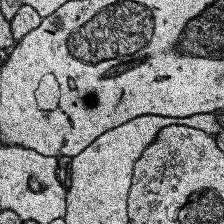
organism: Human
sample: Temporal Lobe